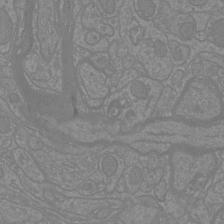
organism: Mouse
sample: Cortical neurons